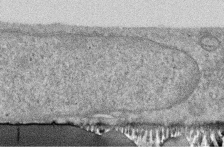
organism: Human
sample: Centriole in RPE cells